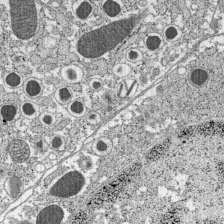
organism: C57BL Mouse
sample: Pancreatic islet